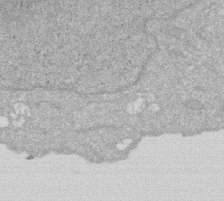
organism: Human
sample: HIV infected U937 cells